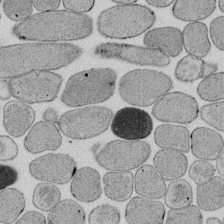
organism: E. coli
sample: Bacterial nucleoid